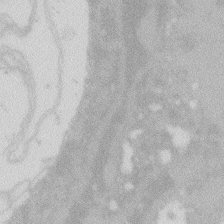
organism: Zebrafish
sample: Macrophage